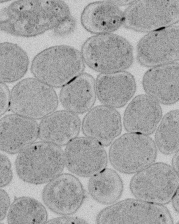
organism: E. coli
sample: Bacterial nucleoid